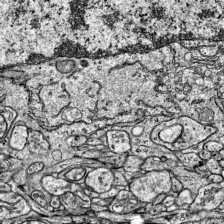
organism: Mouse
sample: Visual Cortex